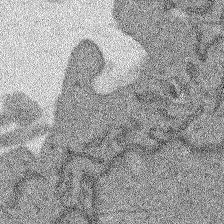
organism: Human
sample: HeLa cells